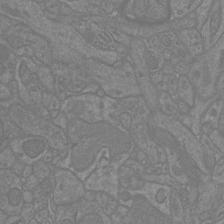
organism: Mouse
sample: Cortical neurons